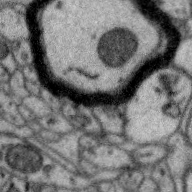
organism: Zebra finch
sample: Brain